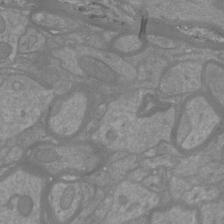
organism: Mouse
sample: Cortical neurons